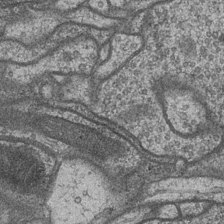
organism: Drosophila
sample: Optic medulla